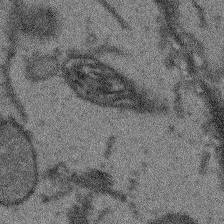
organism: Arabidopsis thaliana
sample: Root tip